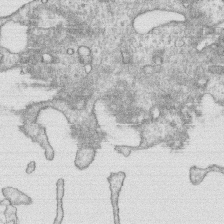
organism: Human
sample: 1205lu cells